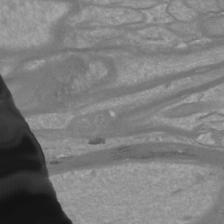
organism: Mouse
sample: Cortical neurons